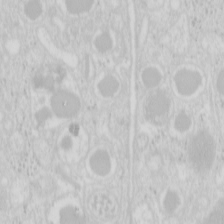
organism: Mouse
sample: Pancreas